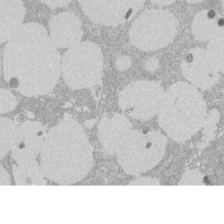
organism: Rat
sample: Salivary granule